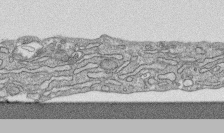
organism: Human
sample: CRL-1474